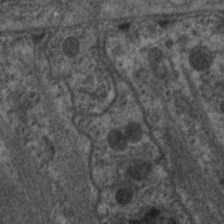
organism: C. elegans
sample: Pharynx